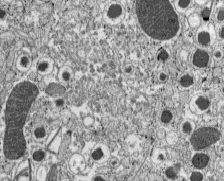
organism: C57BL Mouse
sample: Pancreatic islet